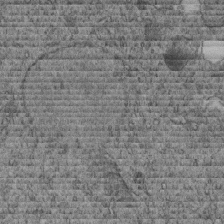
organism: C. elegans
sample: C. elegans embryo early stage